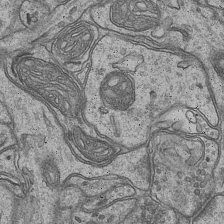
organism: Mouse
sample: CA1 Hippocampus